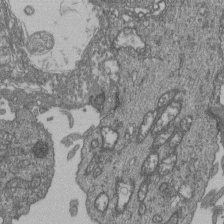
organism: Human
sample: Retinal organoid Rod and Cone cells